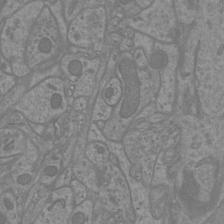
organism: Mouse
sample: Cortical neurons